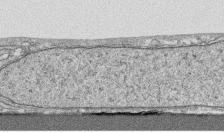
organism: Human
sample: CRL-1474